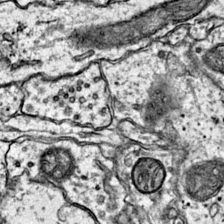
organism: Mouse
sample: Primary visual cortex